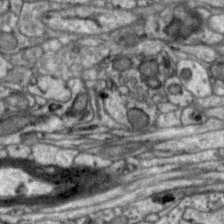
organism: Zebra finch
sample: Brain